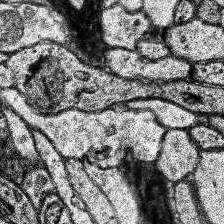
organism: Human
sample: Temporal Lobe